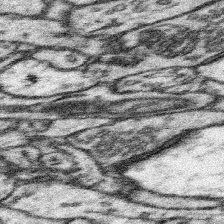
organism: Mouse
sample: Somatosensory cortex neuropil